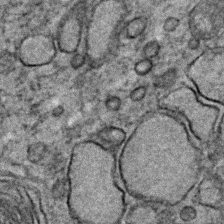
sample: Trachea